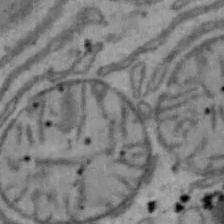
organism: Mouse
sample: Liver